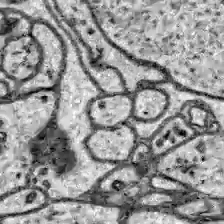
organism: Zebrafish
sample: Brain